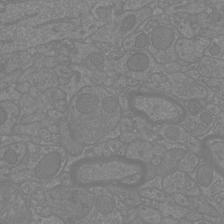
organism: Mouse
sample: Cortical neurons